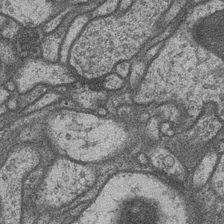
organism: Drosophila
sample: Optic medulla